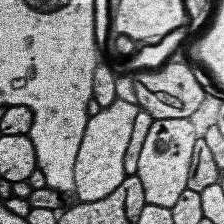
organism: Human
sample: Temporal Lobe